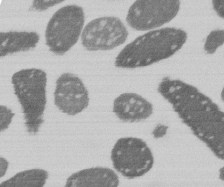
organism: E. coli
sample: Bacterial nucleoid